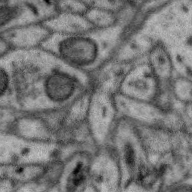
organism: Zebra finch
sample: Brain